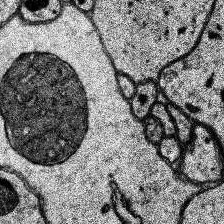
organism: Human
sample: Temporal Lobe